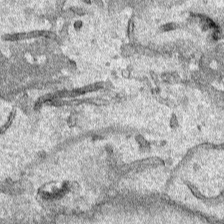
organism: Human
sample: Mitochondria in HCT116 cells